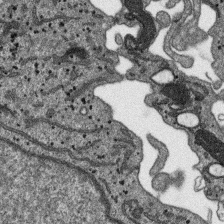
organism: Human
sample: Lung epithelial cells infected with SARS-CoV-2